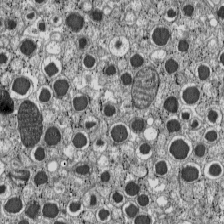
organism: C57BL Mouse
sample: Pancreatic islet